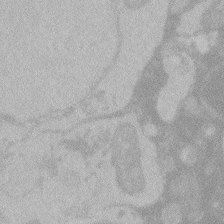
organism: Zebrafish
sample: Macrophage infected with Toxoplasma gondii